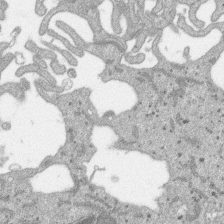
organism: Human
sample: Lung epithelial cells infected with SARS-CoV-2